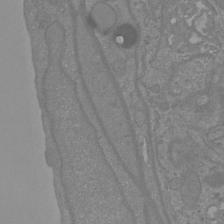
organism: Mouse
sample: Cortical neurons